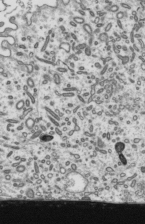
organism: Mouse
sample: Mouse epididymis efferent ductule cilia